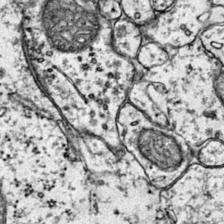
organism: Mouse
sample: Primary visual cortex